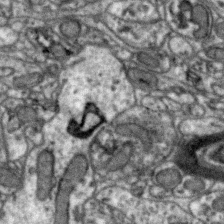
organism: Zebra finch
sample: Brain